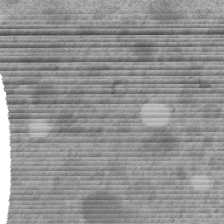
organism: C. elegans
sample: C. elegans embryo early stage